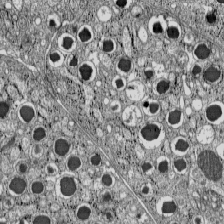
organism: C57BL Mouse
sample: Pancreatic islet